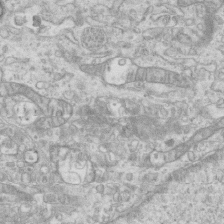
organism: Mouse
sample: Centriole in ependymal cells